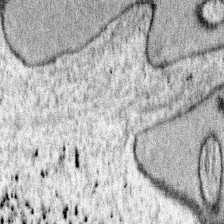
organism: Human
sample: HeLa cells